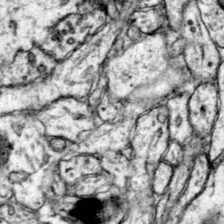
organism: Mouse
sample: Primary visual cortex